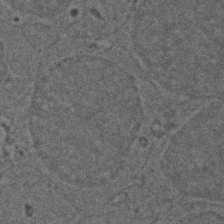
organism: Zebrafish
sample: Zebrafish embryo